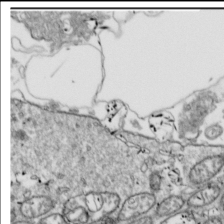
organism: Drosophila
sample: Cell division; meiosis; drosophila spermatocytes